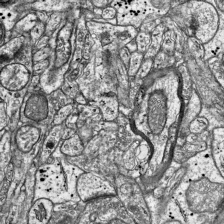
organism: Mouse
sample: Visual Cortex